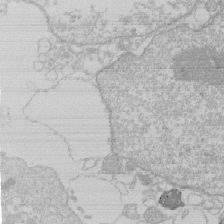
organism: Human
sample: Macrophage cells